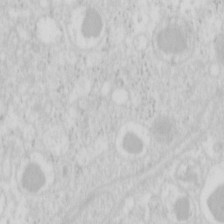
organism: Mouse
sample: Pancreas